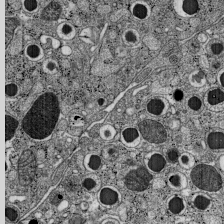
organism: C57BL Mouse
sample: Pancreatic islet